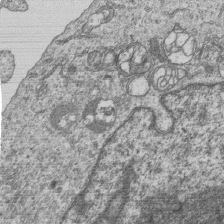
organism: Human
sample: MDA-MB-231 cells